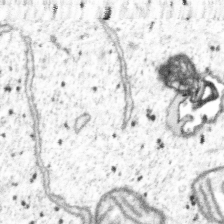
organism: Human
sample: HeLa cells